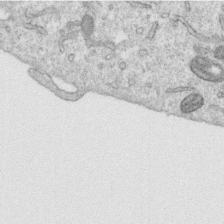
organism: Human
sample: Centriole in RPE cells